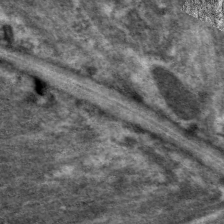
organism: C. elegans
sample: Pharynx